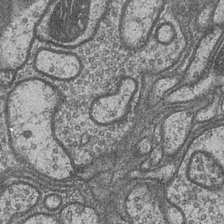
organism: Drosophila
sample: Optic medulla